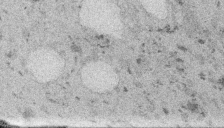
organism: Embia sp.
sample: Silk gland